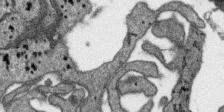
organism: Human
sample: Lung epithelial cells, uninfected (mock) control